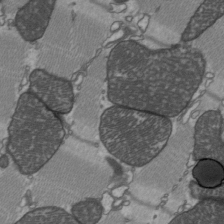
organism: C57BL Mouse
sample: Heart